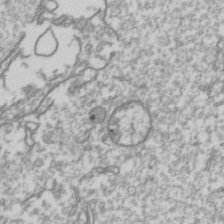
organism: Drosophila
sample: Cell division; meiosis; drosophila spermatocytes